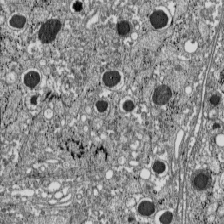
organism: C57BL Mouse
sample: Pancreatic islet